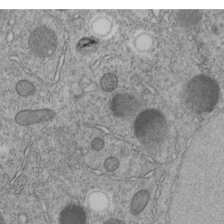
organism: C. elegans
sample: C. elegans embryo early stage